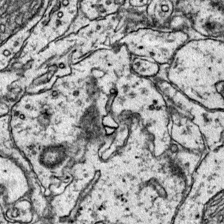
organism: Mouse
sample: Primary visual cortex